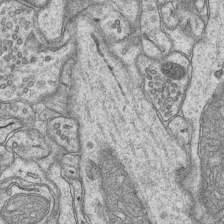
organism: Mouse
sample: CA1 Hippocampus